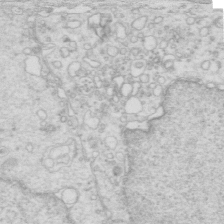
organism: Mouse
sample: Multiciliated cells